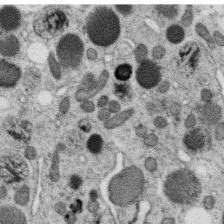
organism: C. elegans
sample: C. elegans oocyte; sperm cells